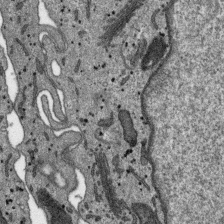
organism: Human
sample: Lung epithelial cells, uninfected (mock) control